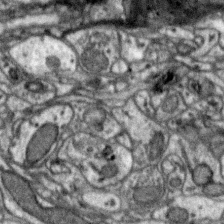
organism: Zebra finch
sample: Brain